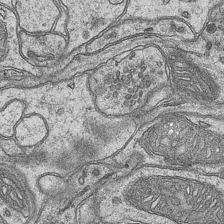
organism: Mouse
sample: CA1 Hippocampus